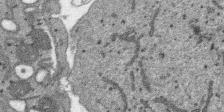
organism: Human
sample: Lung epithelial cells infected with SARS-CoV-2